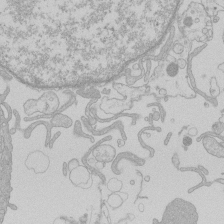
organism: Human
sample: Macrophage cells